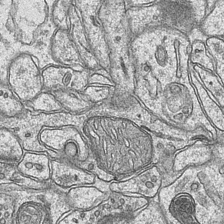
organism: Mouse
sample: CA1 Hippocampus